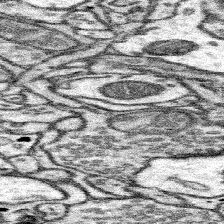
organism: Mouse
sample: Somatosensory cortex neuropil